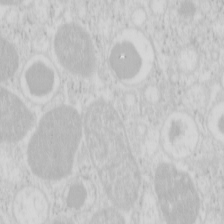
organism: Mouse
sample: Pancreas